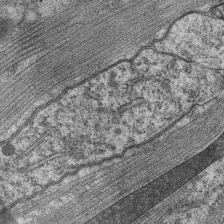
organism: C. elegans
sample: Pharynx